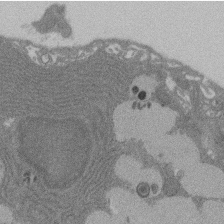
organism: Rat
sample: Salivary granule